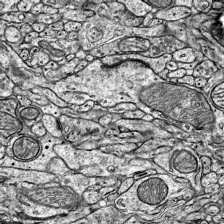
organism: Mouse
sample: Visual Cortex